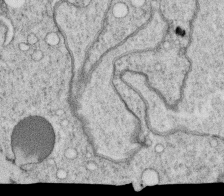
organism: C. elegans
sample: C. elegans oocyte; sperm cells